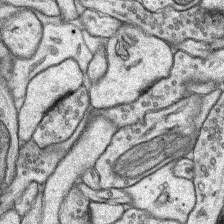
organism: Rat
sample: Hippocampus